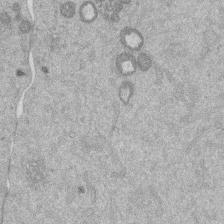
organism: Mouse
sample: Dividing mouse embryo 1 cell stage